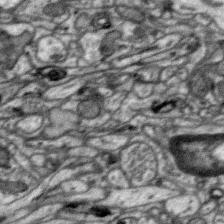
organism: Zebra finch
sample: Brain